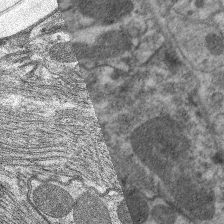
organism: C. elegans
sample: Pharynx